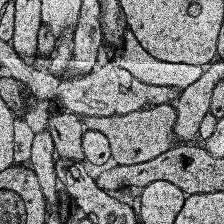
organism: Human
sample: Temporal Lobe